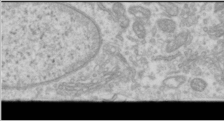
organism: Human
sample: Cilia; basal body in RPE cells